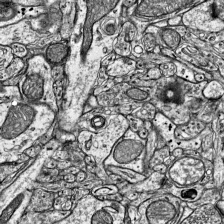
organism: Mouse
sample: Visual Cortex